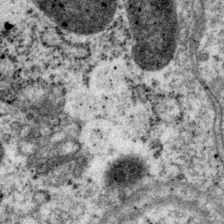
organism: P. pacificus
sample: Pharynx